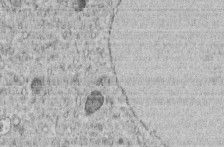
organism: C. elegans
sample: C. elegans embryo early stage